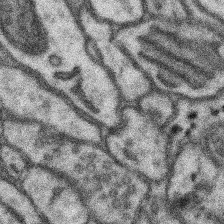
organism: Mouse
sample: Somatosensory cortex neuropil